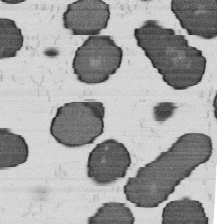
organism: B. subtilis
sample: Bacterial spore